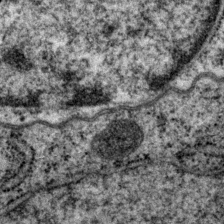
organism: P. pacificus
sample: Pharynx